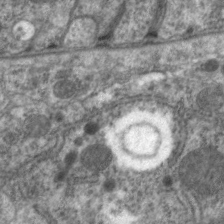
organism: C. elegans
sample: Pharynx